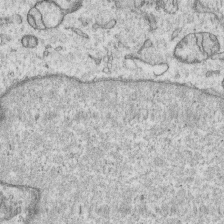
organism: Human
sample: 1205lu cells